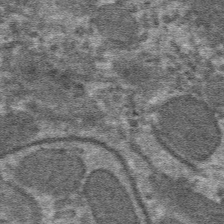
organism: Mouse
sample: Mouse hepatocytes